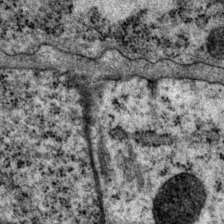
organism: P. pacificus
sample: Pharynx